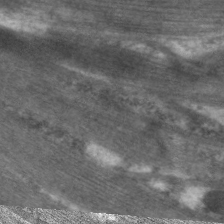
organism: C. elegans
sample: Pharynx